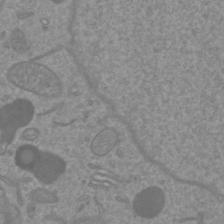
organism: Mouse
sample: Cortical neurons